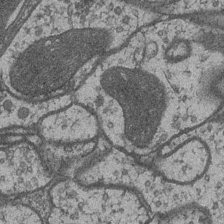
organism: Drosophila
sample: Optic medulla